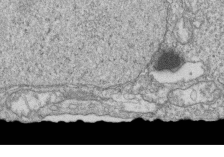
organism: Human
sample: HeLa cell HIV synapse